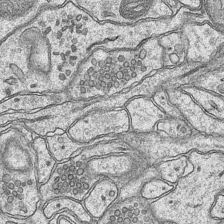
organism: Mouse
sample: CA1 Hippocampus